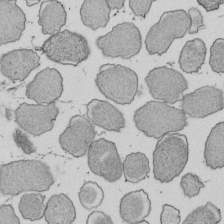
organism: E. coli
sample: Bacterial nucleoid